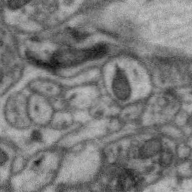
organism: Zebra finch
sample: Brain